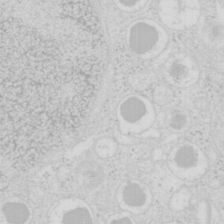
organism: Mouse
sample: Pancreas